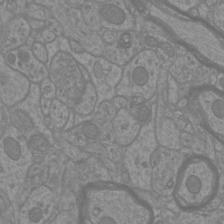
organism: Mouse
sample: Cortical neurons